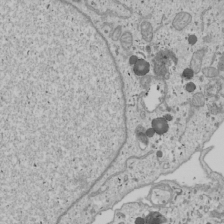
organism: Human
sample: Mitochondria in U2OS cells